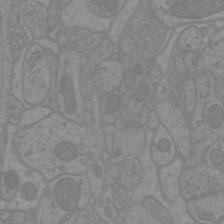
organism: Mouse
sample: Cortical neurons